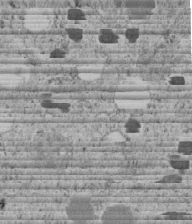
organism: C. elegans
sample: C. elegans embryo early stage